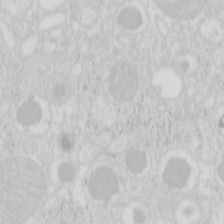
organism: Mouse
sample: Pancreas